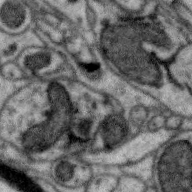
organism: Zebra finch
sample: Brain